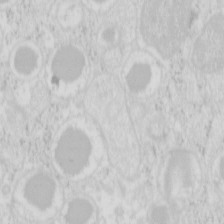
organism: Mouse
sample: Pancreas